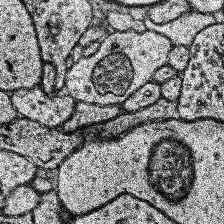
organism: Human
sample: Temporal Lobe